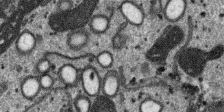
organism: Human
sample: Lung epithelial cells infected with SARS-CoV-2